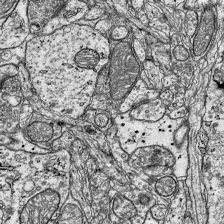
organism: Mouse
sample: Visual Cortex